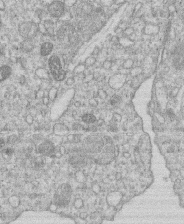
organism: Human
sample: Macrophage cells